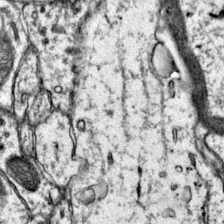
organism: Mouse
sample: Primary visual cortex